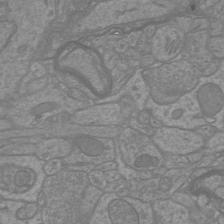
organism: Mouse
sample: Cortical neurons